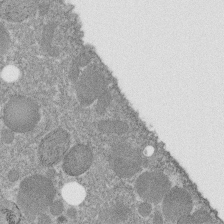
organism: C. elegans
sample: C. elegans embryo early stage